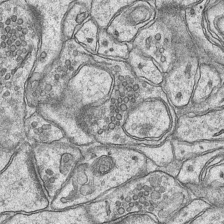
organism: Mouse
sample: CA1 Hippocampus